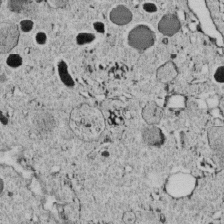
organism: C. elegans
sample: C. elegans embryo early stage